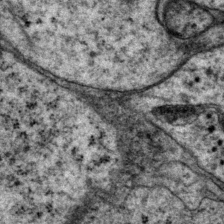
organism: P. pacificus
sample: Pharynx